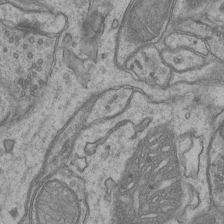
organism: Mouse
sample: CA1 Hippocampus